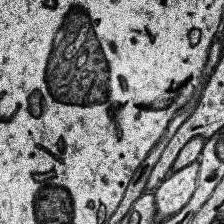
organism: Human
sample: Temporal Lobe